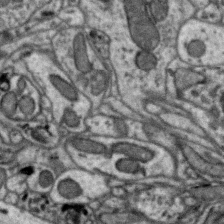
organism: Zebra finch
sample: Brain